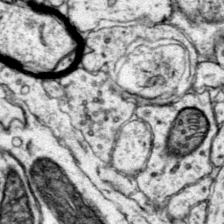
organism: Mouse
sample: Primary visual cortex